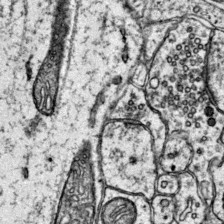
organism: Mouse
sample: Primary visual cortex